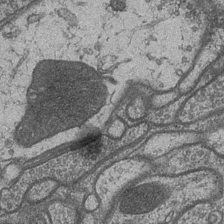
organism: Drosophila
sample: Optic medulla